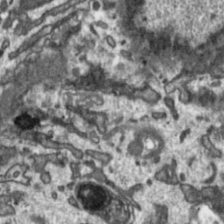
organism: Toxoplasma gondii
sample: Parasites in a vacuole inside a host cell